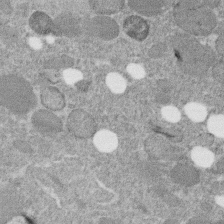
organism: C. elegans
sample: C. elegans embryo early stage